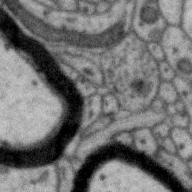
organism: Zebra finch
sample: Brain